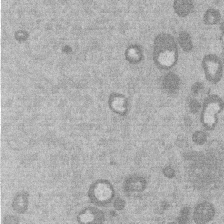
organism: Mouse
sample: Dividing mouse embryo 1 cell stage